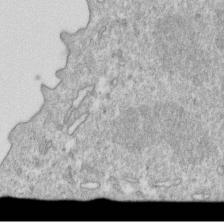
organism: Mouse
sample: Activated OT-1 CD8+ T cells